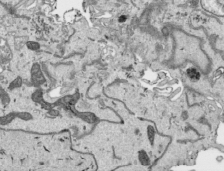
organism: Human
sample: Mitochondria in HCT116 cells